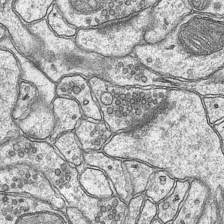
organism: Mouse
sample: CA1 Hippocampus